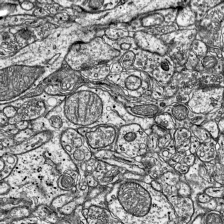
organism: Mouse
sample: Visual Cortex